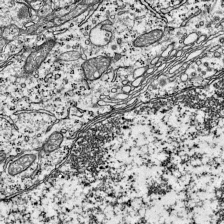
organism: Mouse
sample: Visual Cortex